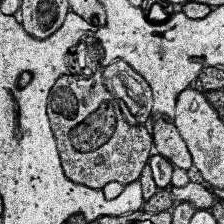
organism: Human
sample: Temporal Lobe